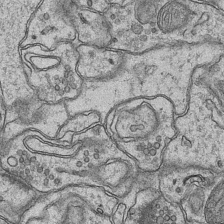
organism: Mouse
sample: CA1 Hippocampus